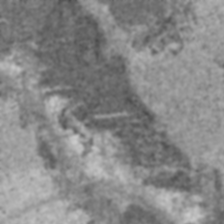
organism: C57BL Mouse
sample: Heart